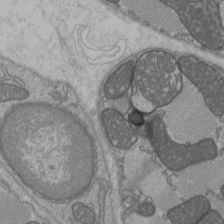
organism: C57BL Mouse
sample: Heart